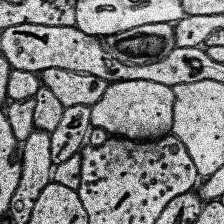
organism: Human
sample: Temporal Lobe